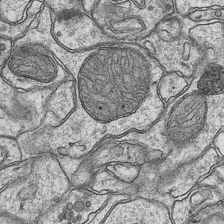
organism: Mouse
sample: CA1 Hippocampus